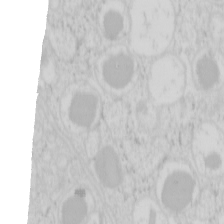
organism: Mouse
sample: Pancreas